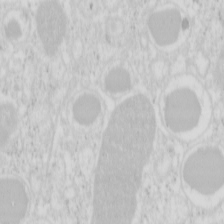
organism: Mouse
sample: Pancreas